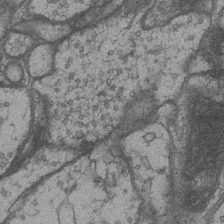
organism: Drosophila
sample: Optic medulla